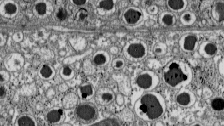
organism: C57BL Mouse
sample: Pancreatic islet